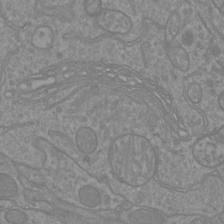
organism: Mouse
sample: Cortical neurons